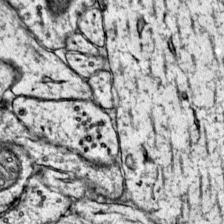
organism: Mouse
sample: Primary visual cortex